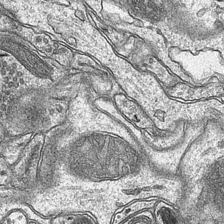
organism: Mouse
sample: CA1 Hippocampus